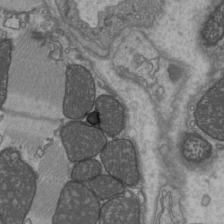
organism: C57BL Mouse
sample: Heart